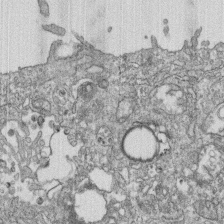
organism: Human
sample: HeLa cell HIV synapse